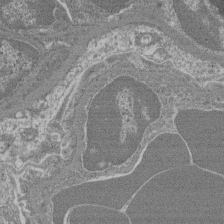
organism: Mouse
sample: Glomerulus